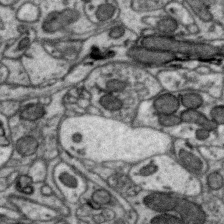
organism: Zebra finch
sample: Brain